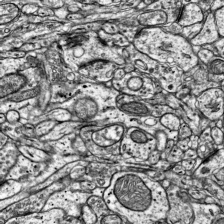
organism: Mouse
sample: Visual Cortex